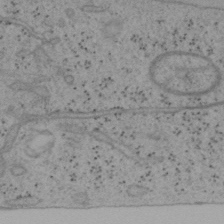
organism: Human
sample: HeLa cells